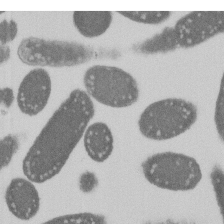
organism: E. coli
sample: Bacterial nucleoid